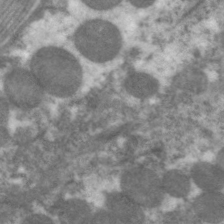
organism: C. elegans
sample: Pharynx